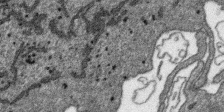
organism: Human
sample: Lung epithelial cells infected with SARS-CoV-2